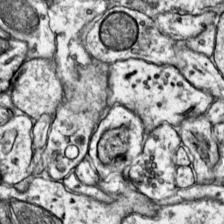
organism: Mouse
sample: Primary visual cortex